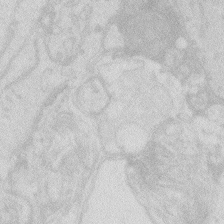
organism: Zebrafish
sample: Macrophage